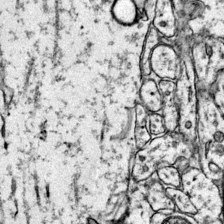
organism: Mouse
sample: Primary visual cortex